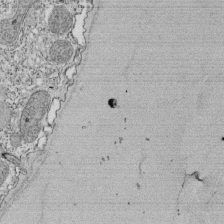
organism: Tetrahymena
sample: Cilia in tetrahymena